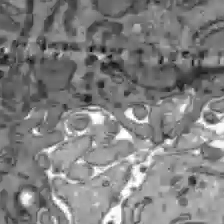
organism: C57BL Mouse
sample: Liver